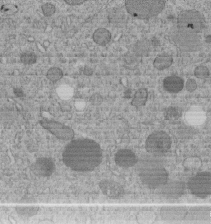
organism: C. elegans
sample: C. elegans embryo early stage